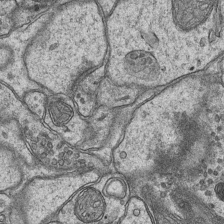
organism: Mouse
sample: CA1 Hippocampus